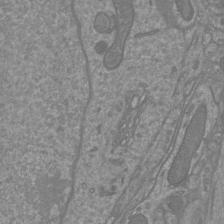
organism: Mouse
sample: Cortical neurons